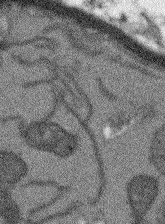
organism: Arabidopsis thaliana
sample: Root tip